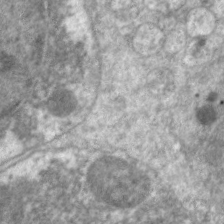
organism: C. elegans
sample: Pharynx